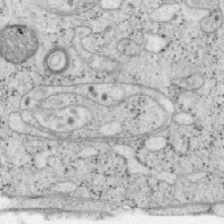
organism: Mouse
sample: OT-I killer T cells with ID8 ovarian cancer cells